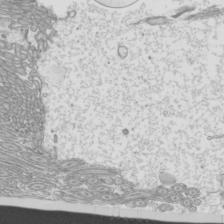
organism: Mouse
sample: Cilia; mouse epididymis